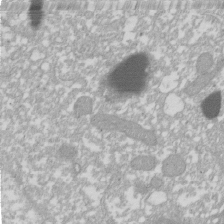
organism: Xenopus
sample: Cilia; centrioles in frog embryo cells